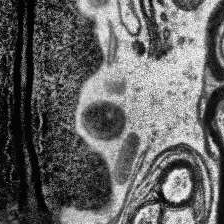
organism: Human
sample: Temporal Lobe